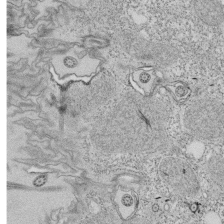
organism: Tetrahymena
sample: Cilia in tetrahymena